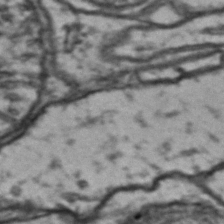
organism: Drosophila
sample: Brain